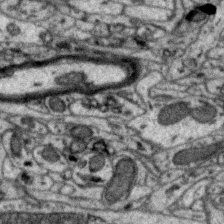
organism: Zebra finch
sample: Brain